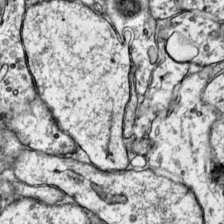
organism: Mouse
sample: Primary visual cortex